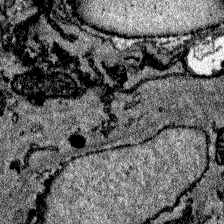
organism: Zebrafish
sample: Larval olfactory bulb